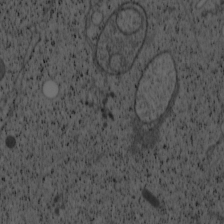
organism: African green monkey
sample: COS-7 cells